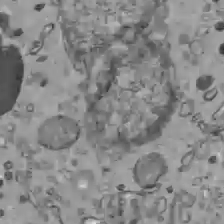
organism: C57BL Mouse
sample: Liver